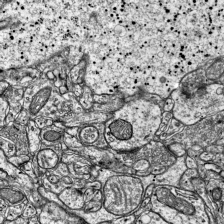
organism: Mouse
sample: Visual Cortex